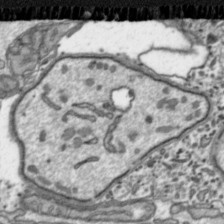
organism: Toxoplasma gondii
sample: Parasites in a vacuole inside a host cell